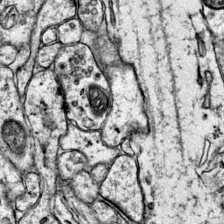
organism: Mouse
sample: Primary visual cortex